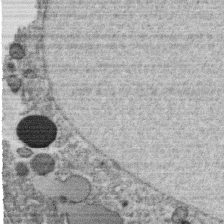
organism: C. elegans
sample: C. elegans oocyte; sperm cells